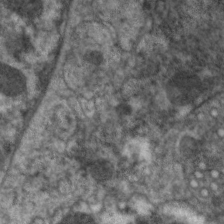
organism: C. elegans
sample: Pharynx